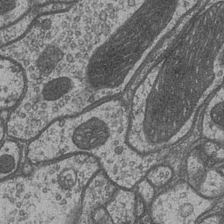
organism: Drosophila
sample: Optic medulla